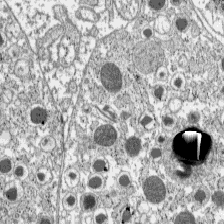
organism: C57BL Mouse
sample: Pancreatic islet